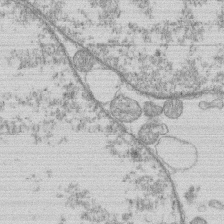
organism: Human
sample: Macrophage cells